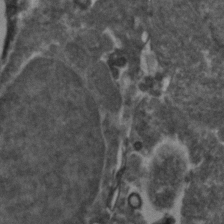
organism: Zebrafish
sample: Zebrafish embryo